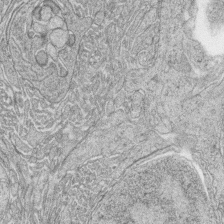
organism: Zebrafish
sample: synaptic ribbons in rod cells and cone cells